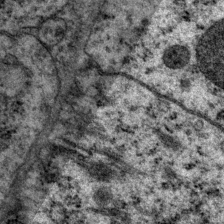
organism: P. pacificus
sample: Pharynx